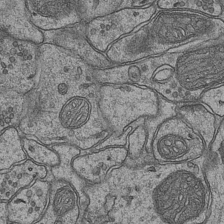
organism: Mouse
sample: CA1 Hippocampus